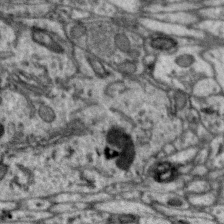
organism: Zebra finch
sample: Brain